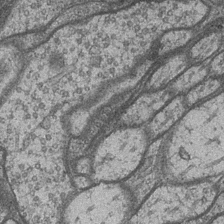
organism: Drosophila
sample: Optic medulla